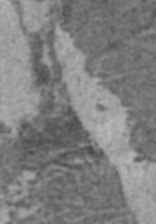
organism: C57BL Mouse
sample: Heart